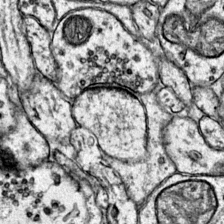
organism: Mouse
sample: Primary visual cortex